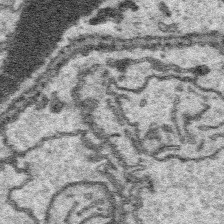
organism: Platynereis dumerilii